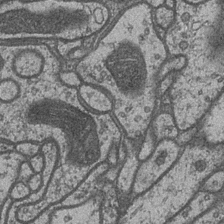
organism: Drosophila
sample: Optic medulla